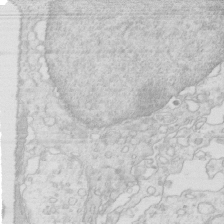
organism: Mouse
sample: Multiciliated cells